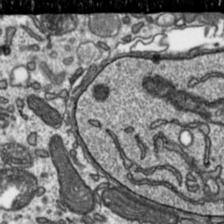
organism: Toxoplasma gondii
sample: Parasites in a vacuole inside a host cell